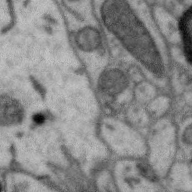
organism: Zebra finch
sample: Brain